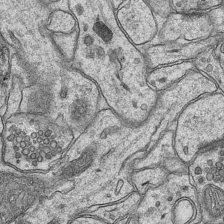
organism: Mouse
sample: CA1 Hippocampus